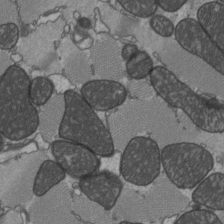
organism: C57BL Mouse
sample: Heart